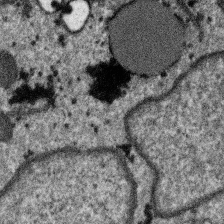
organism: Human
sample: Lung epithelial cells infected with SARS-CoV-2